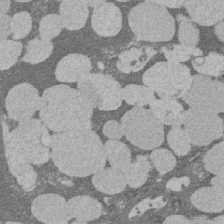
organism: Rat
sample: Salivary granule